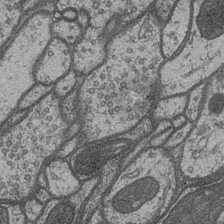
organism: Drosophila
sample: Optic medulla